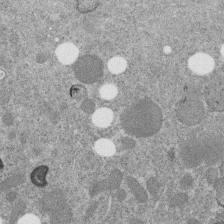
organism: C. elegans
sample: C. elegans embryo early stage